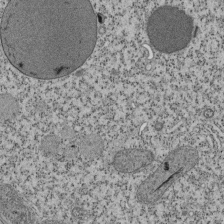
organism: Tetrahymena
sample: Cilia in tetrahymena